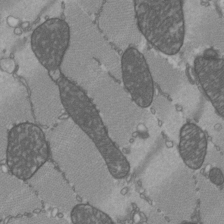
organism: C57BL Mouse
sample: Heart